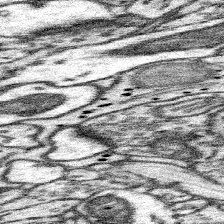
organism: Mouse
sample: Somatosensory cortex neuropil